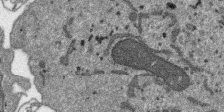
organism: Human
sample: Lung epithelial cells infected with SARS-CoV-2